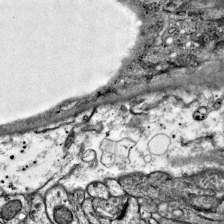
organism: Mouse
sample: Visual Cortex